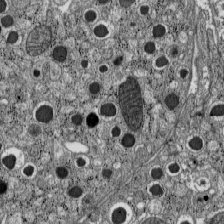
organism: C57BL Mouse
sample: Pancreatic islet